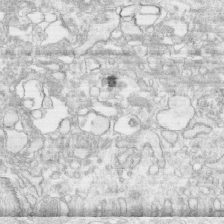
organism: Human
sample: CRL-1474